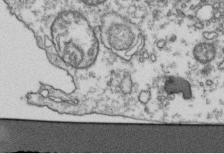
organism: Human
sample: Activated Jurkat CD4+ T cells